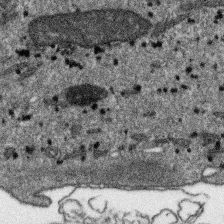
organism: Human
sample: Lung epithelial cells infected with SARS-CoV-2